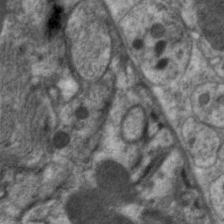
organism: C. elegans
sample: Pharynx